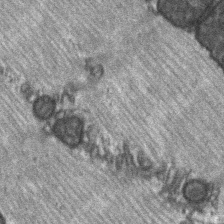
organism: C57BL Mouse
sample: Soleus